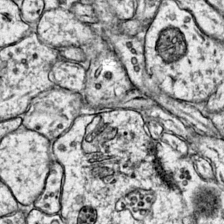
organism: Mouse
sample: Primary visual cortex